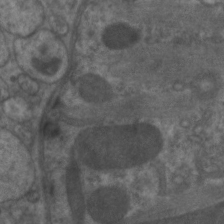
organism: C. elegans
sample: Pharynx